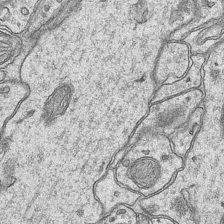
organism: Mouse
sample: CA1 Hippocampus